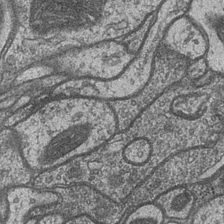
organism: Drosophila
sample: Optic medulla